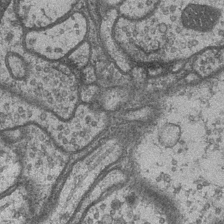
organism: Drosophila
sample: Optic medulla